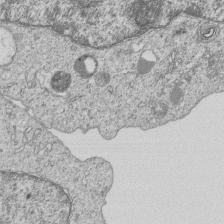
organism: Human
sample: MDA-MB-231 cells